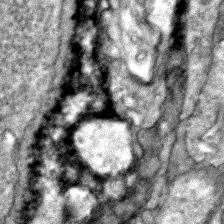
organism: Zebrafish